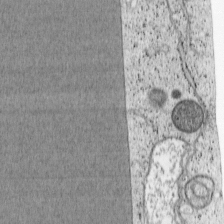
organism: African green monkey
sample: COS-7 cells